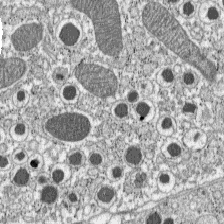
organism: C57BL Mouse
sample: Pancreatic islet